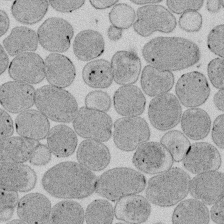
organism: E. coli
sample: Bacterial nucleoid